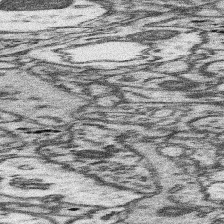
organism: Mouse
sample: Somatosensory cortex neuropil